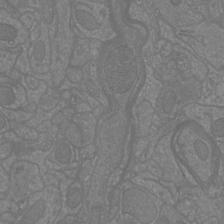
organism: Mouse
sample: Cortical neurons